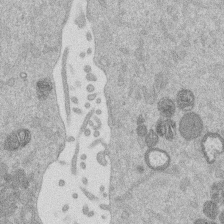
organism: Mouse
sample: Dividing mouse embryo 1 cell stage